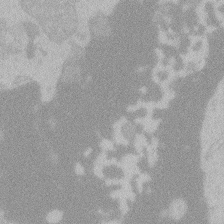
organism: Zebrafish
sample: Macrophage infected with Toxoplasma gondii